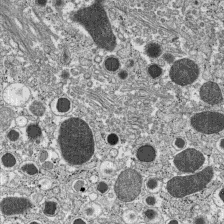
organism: C57BL Mouse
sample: Pancreatic islet